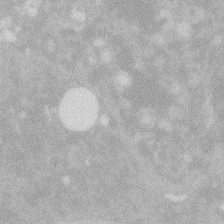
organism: Zebrafish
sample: Macrophage